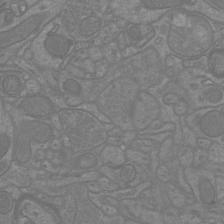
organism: Mouse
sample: Cortical neurons